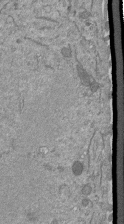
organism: Mouse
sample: ED-1 cell nuclei; centrioles